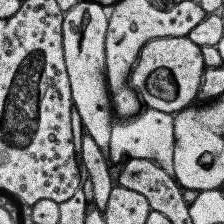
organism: Human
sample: Temporal Lobe